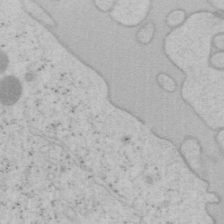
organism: Human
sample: HeLa cells